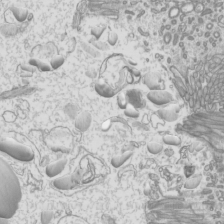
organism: Mouse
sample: Cilia; mouse epididymis